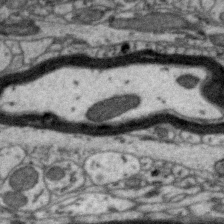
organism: Zebra finch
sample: Brain